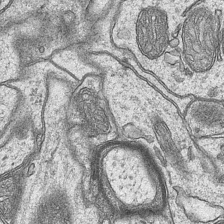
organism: Mouse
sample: CA1 Hippocampus